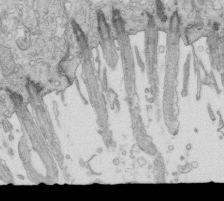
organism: Mouse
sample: Multiciliated cells